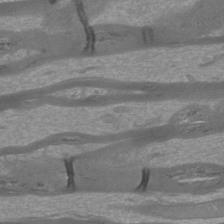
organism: Mouse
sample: Cortical neurons